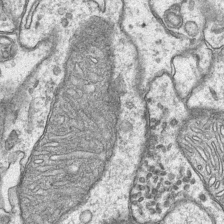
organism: Mouse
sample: CA1 Hippocampus